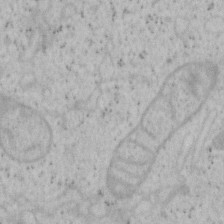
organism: Human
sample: HeLa cells